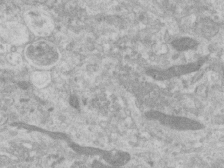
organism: Human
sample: Centriole in RPE cells